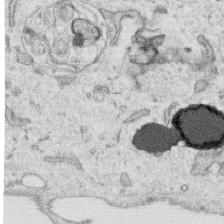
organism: Human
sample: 1205lu cells